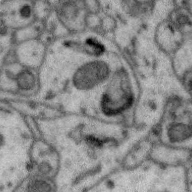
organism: Zebra finch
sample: Brain